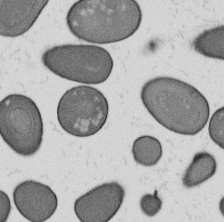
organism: B. subtilis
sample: Bacterial spore